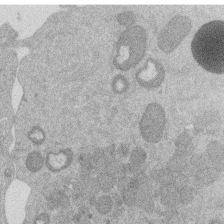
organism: Mouse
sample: Dividing mouse embryo 1 cell stage